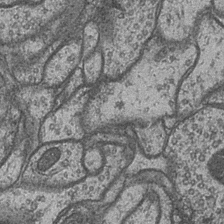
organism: Drosophila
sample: Optic medulla